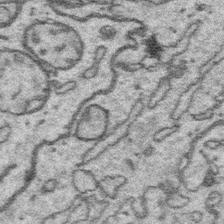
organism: Platynereis dumerilii